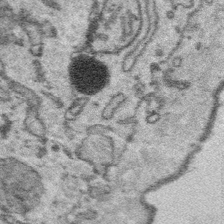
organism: Platynereis dumerilii